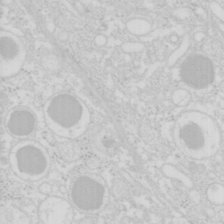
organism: Mouse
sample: Pancreas